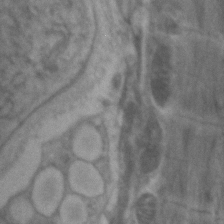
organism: Zebrafish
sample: Zebrafish embryo